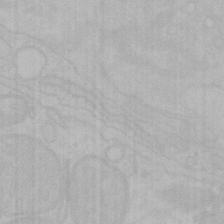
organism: Mouse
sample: Choroid plexus